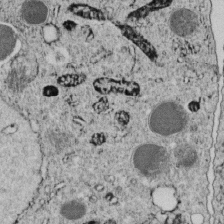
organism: C. elegans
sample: C. elegans embryo early stage